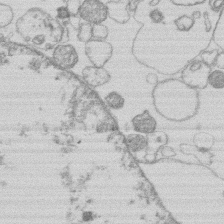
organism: Human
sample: Macrophage cells